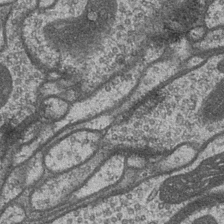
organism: Drosophila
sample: Optic medulla